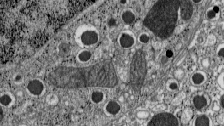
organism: C57BL Mouse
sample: Pancreatic islet